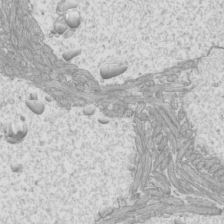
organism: Mouse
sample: Cilia; mouse epididymis